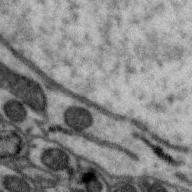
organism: Zebra finch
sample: Brain